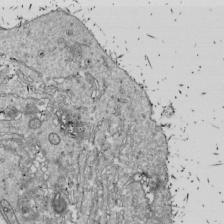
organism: Drosophila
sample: Cell division; meiosis; drosophila spermatocytes